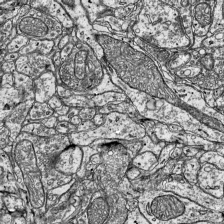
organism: Mouse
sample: Visual Cortex